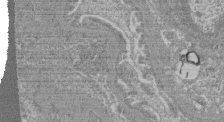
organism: Mouse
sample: Glomerulus